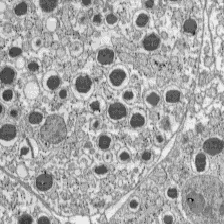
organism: C57BL Mouse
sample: Pancreatic islet